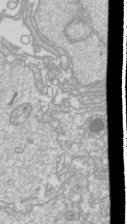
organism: Drosophila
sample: Cell division; meiosis; drosophila spermatocytes